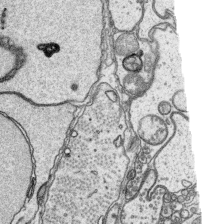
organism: Platynereis dumerilii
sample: Parapodia